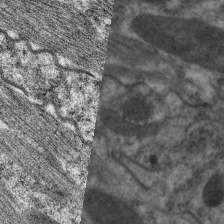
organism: C. elegans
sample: Pharynx